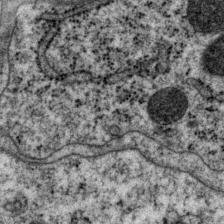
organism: P. pacificus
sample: Pharynx